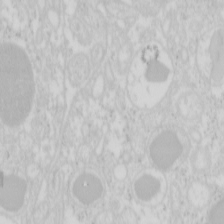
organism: Mouse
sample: Pancreas